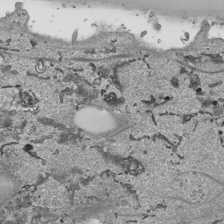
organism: Human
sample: Mitochondria in HCT116 cells